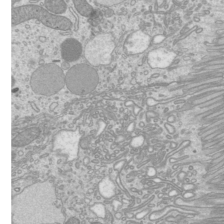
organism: Mouse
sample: Cilia; mouse epididymis